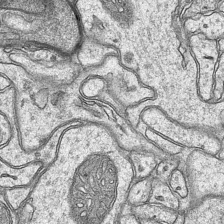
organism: Mouse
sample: CA1 Hippocampus